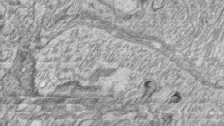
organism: Zebrafish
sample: synaptic ribbons in rod cells and cone cells